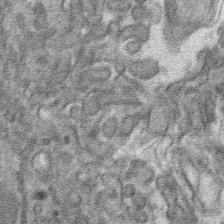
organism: Mouse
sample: Mouse hepatocytes